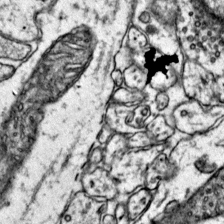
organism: Mouse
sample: Primary visual cortex